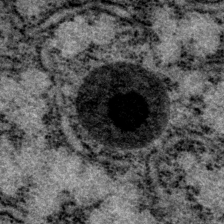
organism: P. pacificus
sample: Pharynx